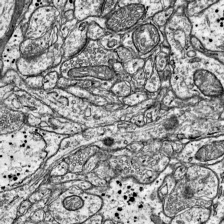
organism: Mouse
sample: Visual Cortex